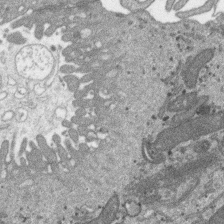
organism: Human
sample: Lung epithelial cells infected with SARS-CoV-2